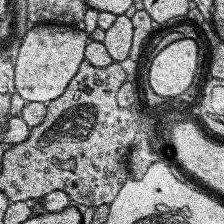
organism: Human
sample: Temporal Lobe